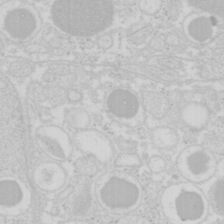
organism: Mouse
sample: Pancreas